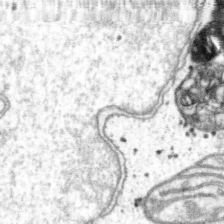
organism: Human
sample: HeLa cells